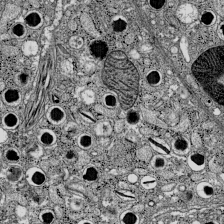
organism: C57BL Mouse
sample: Pancreatic islet